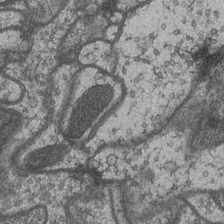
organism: Drosophila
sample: Optic medulla